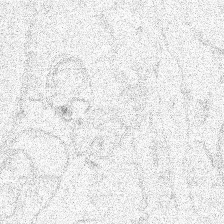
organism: Human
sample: Mitochondria in HCT116 cells